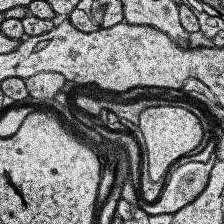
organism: Human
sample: Temporal Lobe